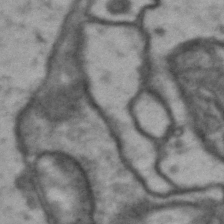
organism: Drosophila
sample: Brain